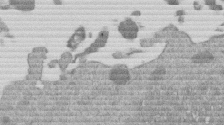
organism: Mouse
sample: Dividing mouse embryo 1 cell stage